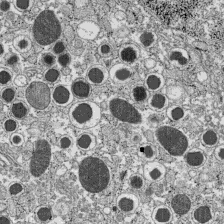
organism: C57BL Mouse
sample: Pancreatic islet